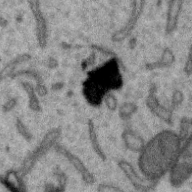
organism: Zebra finch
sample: Brain